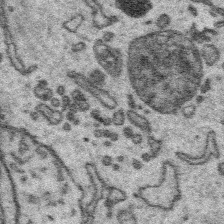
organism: Platynereis dumerilii